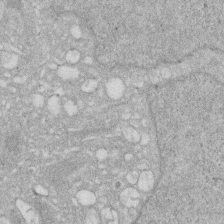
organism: Human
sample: HIV infected U937 cells